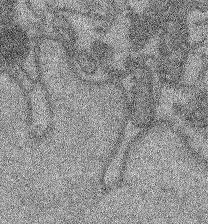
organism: Human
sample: HeLa cells